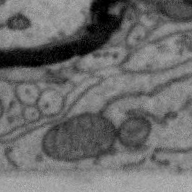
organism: Zebra finch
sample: Brain